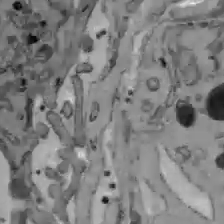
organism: C57BL Mouse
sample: Liver